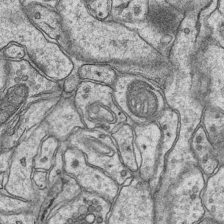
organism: Mouse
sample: CA1 Hippocampus